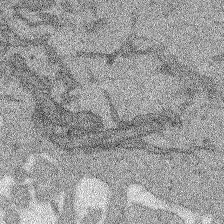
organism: Human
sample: HeLa cells